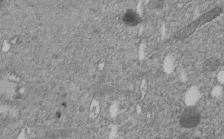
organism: C. elegans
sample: C. elegans embryo early stage